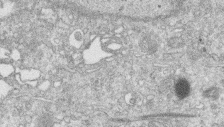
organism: Human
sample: HeLa cell HIV synapse